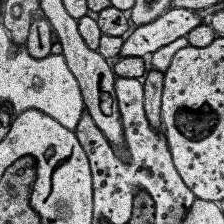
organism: Human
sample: Temporal Lobe